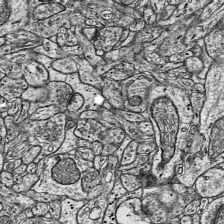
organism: Mouse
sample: Visual Cortex